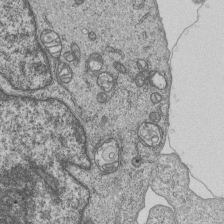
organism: Human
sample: MDA-MB-231 cells